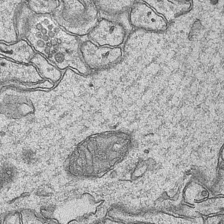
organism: Mouse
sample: CA1 Hippocampus